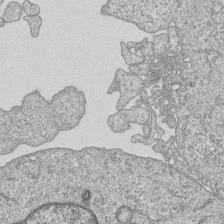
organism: Human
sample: MDA-MB-231 cells